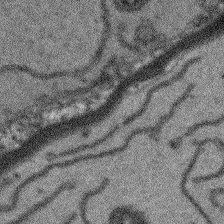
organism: Arabidopsis thaliana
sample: Root tip